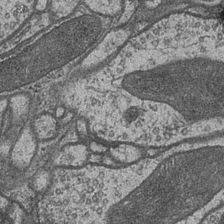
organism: Drosophila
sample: Optic medulla